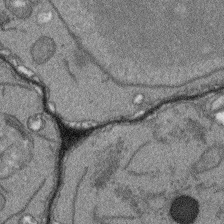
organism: Arabidopsis thaliana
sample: Root tip